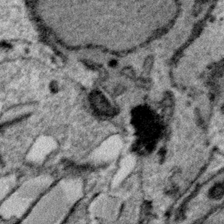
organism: Plasmodium falciparum